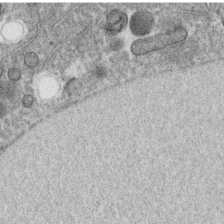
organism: C. elegans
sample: C. elegans oocyte; sperm cells